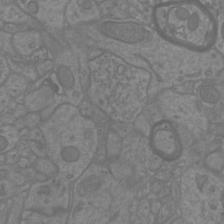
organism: Mouse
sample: Cortical neurons